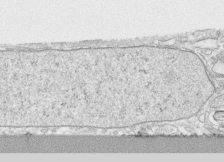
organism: Human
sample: CRL-1474